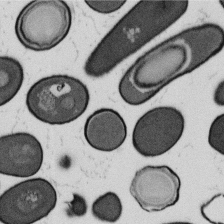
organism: B. subtilis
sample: Bacterial spore